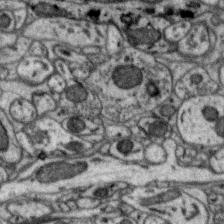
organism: Zebra finch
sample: Brain